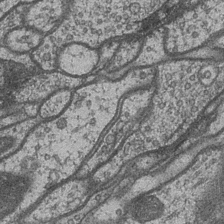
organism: Drosophila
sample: Optic medulla